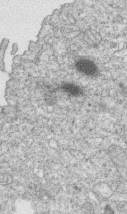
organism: Human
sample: HeLa cell HIV synapse